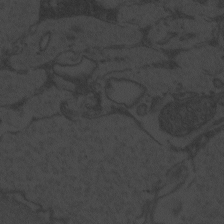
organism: Zebrafish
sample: Macrophage infected with Toxoplasma gondii